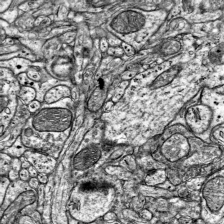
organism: Mouse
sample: Visual Cortex